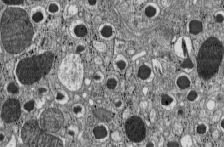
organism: C57BL Mouse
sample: Pancreatic islet